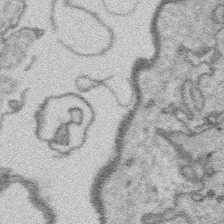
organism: Platynereis dumerilii